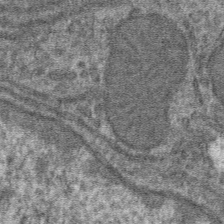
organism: Mouse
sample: Mouse hepatocytes